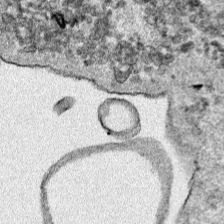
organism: Human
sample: Mitochondria in HCT116 cells